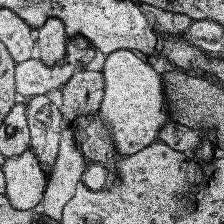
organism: Human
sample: Temporal Lobe